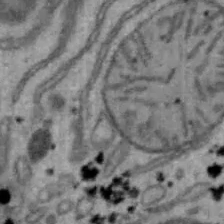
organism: Mouse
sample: Liver